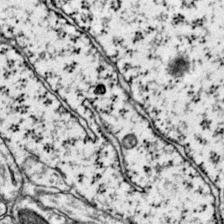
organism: Mouse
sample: Primary visual cortex